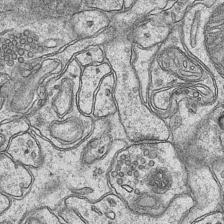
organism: Mouse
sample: CA1 Hippocampus